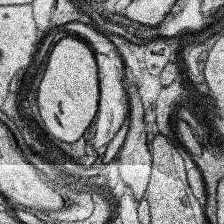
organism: Human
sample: Temporal Lobe